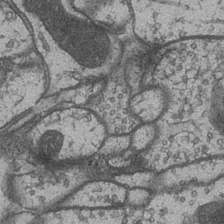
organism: Drosophila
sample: Optic medulla